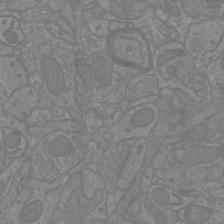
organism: Mouse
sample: Cortical neurons